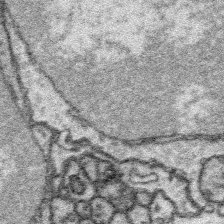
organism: Platynereis dumerilii